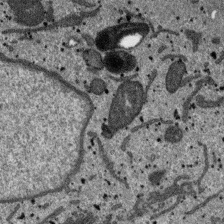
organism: Human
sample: Lung epithelial cells, uninfected (mock) control